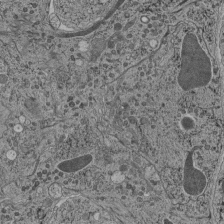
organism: C. elegans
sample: C. elegans pharynx